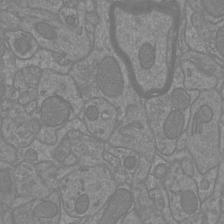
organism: Mouse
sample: Cortical neurons